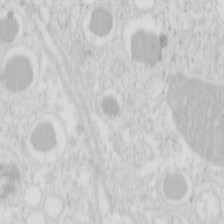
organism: Mouse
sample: Pancreas